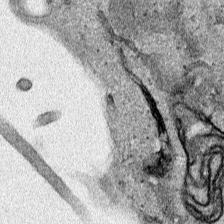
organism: Human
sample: Mitochondria in HCT116 cells